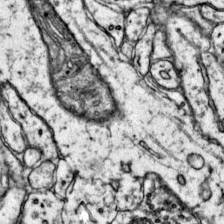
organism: Mouse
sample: Primary visual cortex